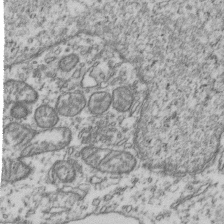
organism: Human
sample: Activated Jurkat CD4+ T cells